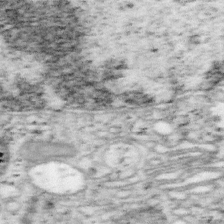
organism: Mouse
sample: OT-I killer T cells with ID8 ovarian cancer cells